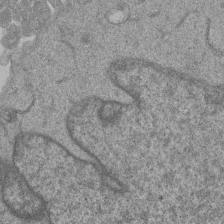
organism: Human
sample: MDA-MB-231 cells